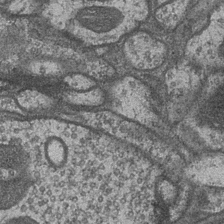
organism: Drosophila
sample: Optic medulla